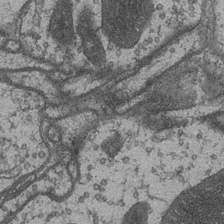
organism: Drosophila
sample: Optic medulla